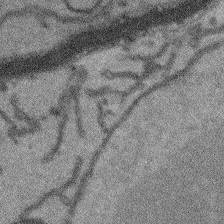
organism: Arabidopsis thaliana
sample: Root tip